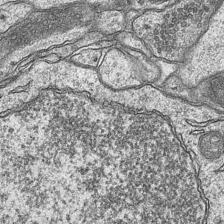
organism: Mouse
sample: CA1 Hippocampus